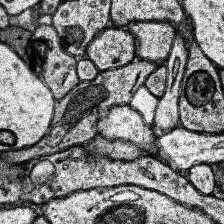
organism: Human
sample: Temporal Lobe